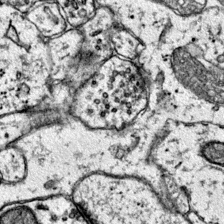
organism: Mouse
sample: Primary visual cortex